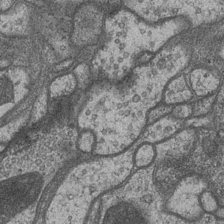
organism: Drosophila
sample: Optic medulla